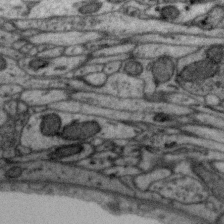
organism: Zebra finch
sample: Brain